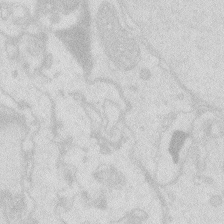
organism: Zebrafish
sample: Macrophage